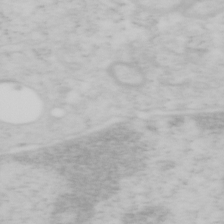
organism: Mouse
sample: OT-I killer T cells with ID8 ovarian cancer cells